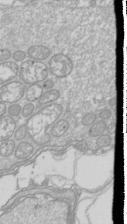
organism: Drosophila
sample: Cell division; meiosis; drosophila spermatocytes